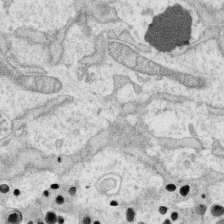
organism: Human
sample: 1205lu cells